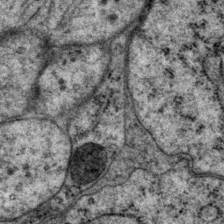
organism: P. pacificus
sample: Pharynx